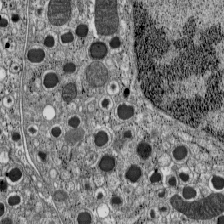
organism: C57BL Mouse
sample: Pancreatic islet